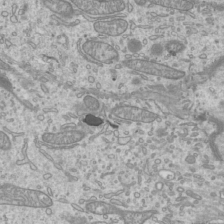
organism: Mouse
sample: Cilia; mouse epididymis